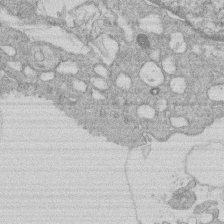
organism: Human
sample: Macrophage cells